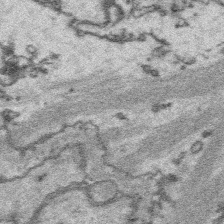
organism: Platynereis dumerilii